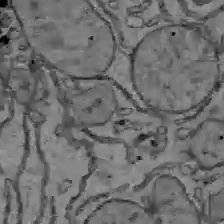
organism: C57BL Mouse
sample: Liver